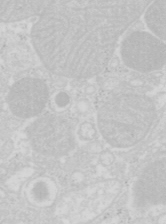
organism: Mouse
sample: Pancreas